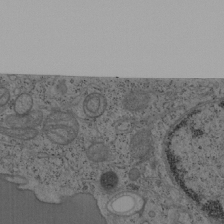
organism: Human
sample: HeLa cells